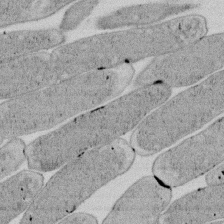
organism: E. coli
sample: Bacterial nucleoid